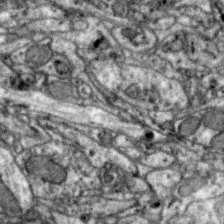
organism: Zebra finch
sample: Brain